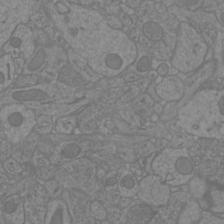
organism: Mouse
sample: Cortical neurons